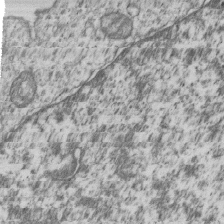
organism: Human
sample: MDA-MB-231 cells